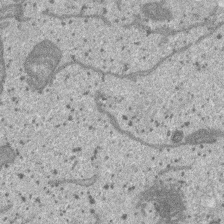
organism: Human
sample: Lung epithelial cells infected with SARS-CoV-2